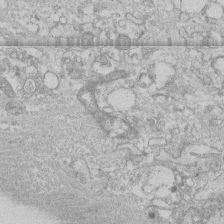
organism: Human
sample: CRL-1474